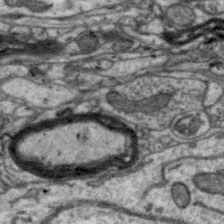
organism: Zebra finch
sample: Brain